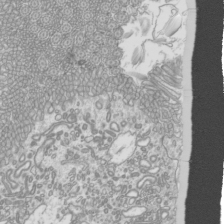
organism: Mouse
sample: Cilia; mouse epididymis